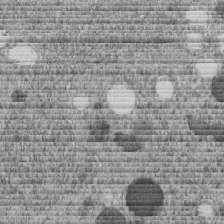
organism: C. elegans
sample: C. elegans embryo early stage